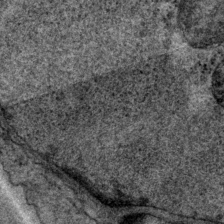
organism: P. pacificus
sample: Pharynx